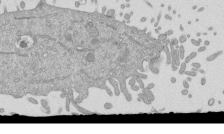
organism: Mouse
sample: ED-1 cell nuclei; centrioles